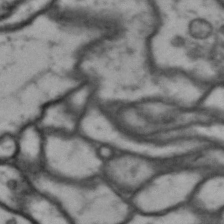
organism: Drosophila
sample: Brain